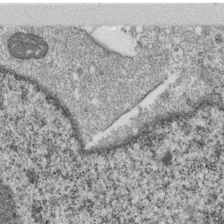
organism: African green monkey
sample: Vero E6 cells infected with SARS-CoV-2